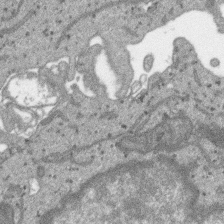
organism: Human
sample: Lung epithelial cells infected with SARS-CoV-2